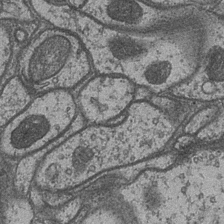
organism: Drosophila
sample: Optic medulla